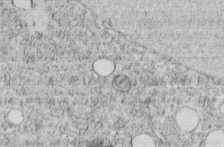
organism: C. elegans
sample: C. elegans embryo early stage